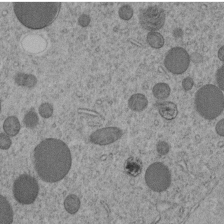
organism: C. elegans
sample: C. elegans embryo early stage